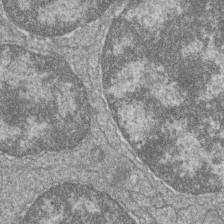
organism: Zebrafish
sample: Cilia; retinal pigment epithelium